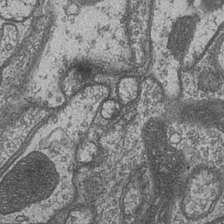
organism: Drosophila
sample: Optic medulla